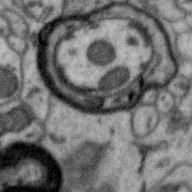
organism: Zebra finch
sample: Brain